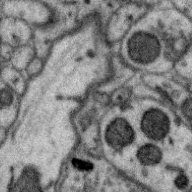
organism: Zebra finch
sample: Brain